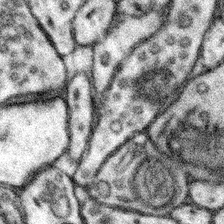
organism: Mouse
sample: Somatosensory cortex neuropil